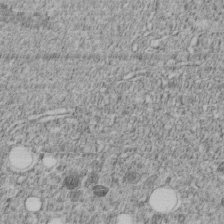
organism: C. elegans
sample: C. elegans embryo early stage